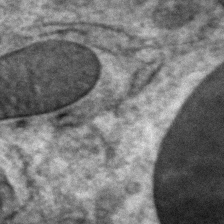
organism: Zebrafish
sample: Zebrafish embryo